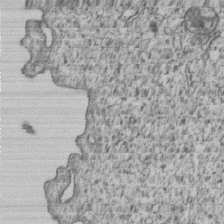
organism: Human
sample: MDA-MB-231 cells